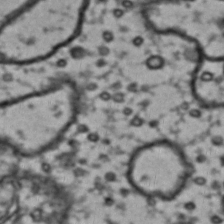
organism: Drosophila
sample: Brain